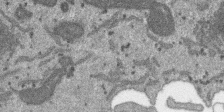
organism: Human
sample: Lung epithelial cells infected with SARS-CoV-2